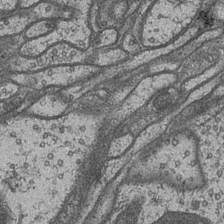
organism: Drosophila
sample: Optic medulla